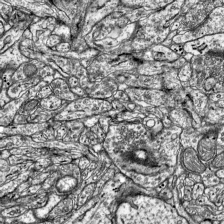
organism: Mouse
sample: Visual Cortex